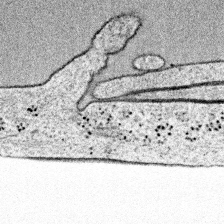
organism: Human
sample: HeLa cells